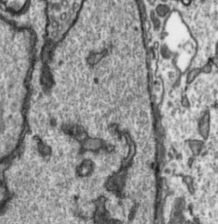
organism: Toxoplasma gondii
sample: Parasites in a vacuole inside a host cell